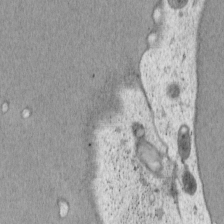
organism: African green monkey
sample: COS-7 cells